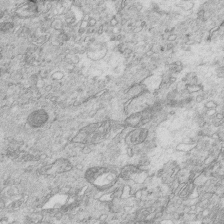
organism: Mouse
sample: Multiciliated cells